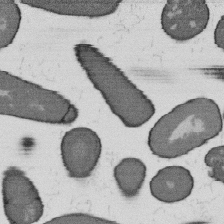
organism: B. subtilis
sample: Bacterial spore